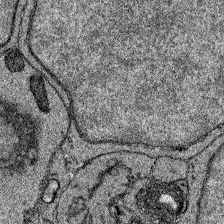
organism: Zebrafish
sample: Larval olfactory bulb